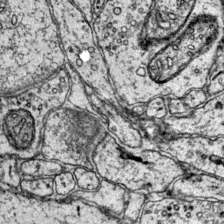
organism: Mouse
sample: Primary visual cortex